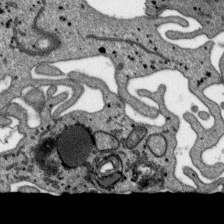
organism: Human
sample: Lung epithelial cells, uninfected (mock) control